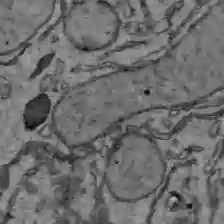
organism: C57BL Mouse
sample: Liver